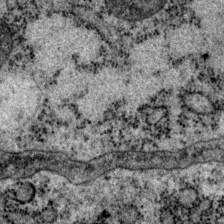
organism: P. pacificus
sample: Pharynx